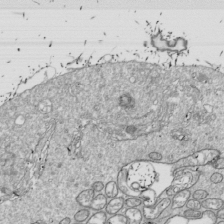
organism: Drosophila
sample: Cell division; meiosis; drosophila spermatocytes